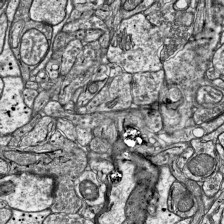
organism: Mouse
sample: Visual Cortex